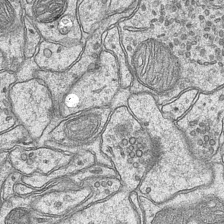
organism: Mouse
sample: CA1 Hippocampus